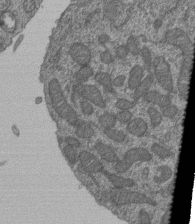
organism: Human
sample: Retinal organoid Rod and Cone cells